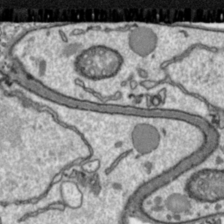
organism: Toxoplasma gondii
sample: Parasites in a vacuole inside a host cell